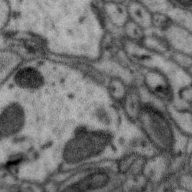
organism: Zebra finch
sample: Brain